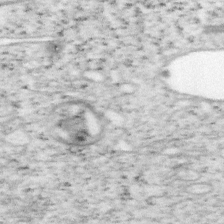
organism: Mouse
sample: OT-I killer T cells with ID8 ovarian cancer cells